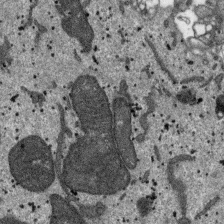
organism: Human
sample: Lung epithelial cells, uninfected (mock) control